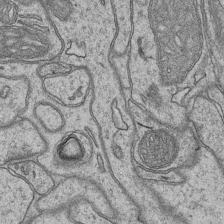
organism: Mouse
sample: CA1 Hippocampus